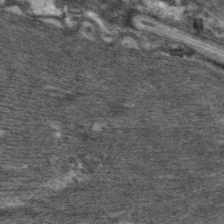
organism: C. elegans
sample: Pharynx